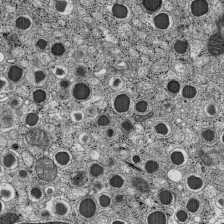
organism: C57BL Mouse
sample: Pancreatic islet